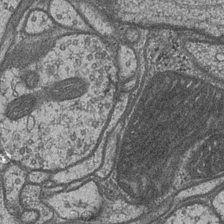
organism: Drosophila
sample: Optic medulla